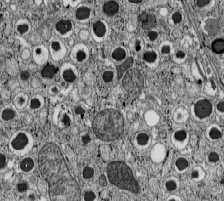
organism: C57BL Mouse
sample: Pancreatic islet